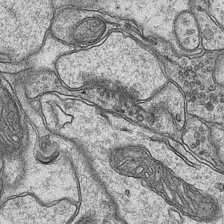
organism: Mouse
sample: CA1 Hippocampus